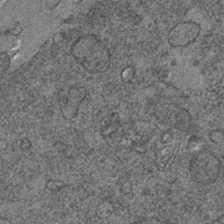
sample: Trachea